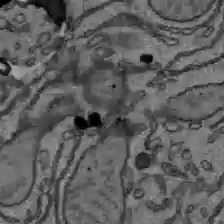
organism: C57BL Mouse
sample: Liver